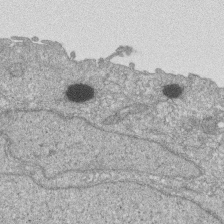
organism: Human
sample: HeLa cell HIV synapse